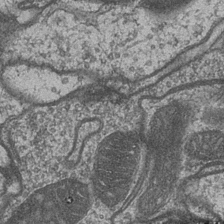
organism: Drosophila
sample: Optic medulla